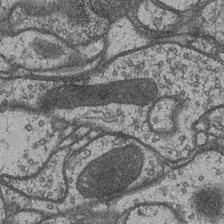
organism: Drosophila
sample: Optic medulla